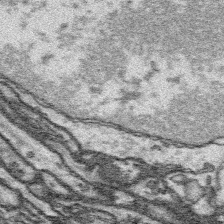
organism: Platynereis dumerilii